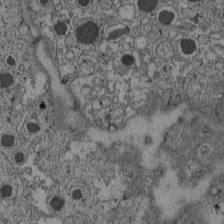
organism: C57BL Mouse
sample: Pancreatic islet